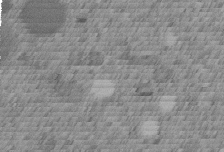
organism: C. elegans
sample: C. elegans embryo early stage